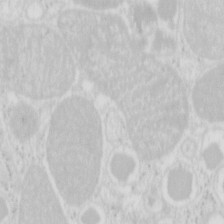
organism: Mouse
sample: Pancreas